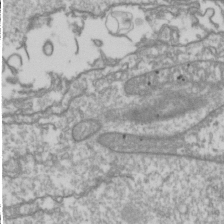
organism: Drosophila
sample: Cell division; meiosis; drosophila spermatocytes